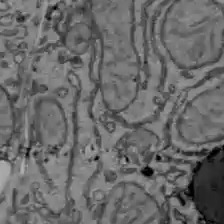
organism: C57BL Mouse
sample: Liver